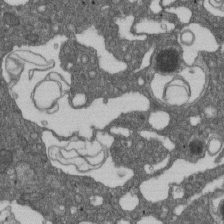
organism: Drosophila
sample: Nephrocyte